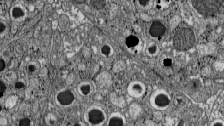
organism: C57BL Mouse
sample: Pancreatic islet